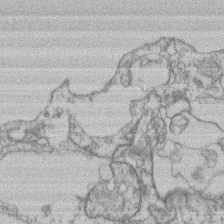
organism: Mouse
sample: T cell stromal cell synapse